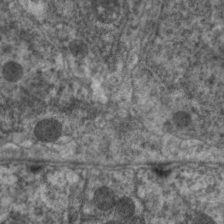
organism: C. elegans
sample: Pharynx